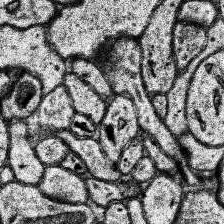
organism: Human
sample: Temporal Lobe